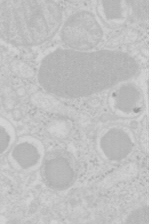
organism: Mouse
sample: Pancreas